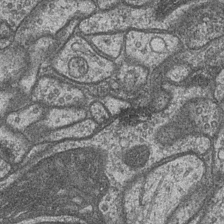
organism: Drosophila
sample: Optic medulla